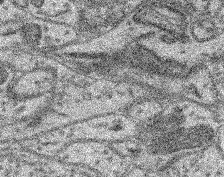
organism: Mouse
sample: Retina